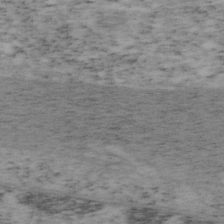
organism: Mouse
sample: OT-I killer T cells with ID8 ovarian cancer cells